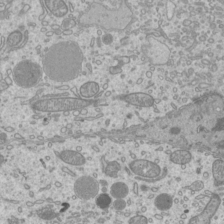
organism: Mouse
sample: Cilia; mouse epididymis